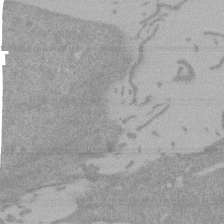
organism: Mouse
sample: ED-1 cell nuclei; centrioles